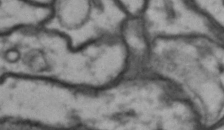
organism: Drosophila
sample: Brain